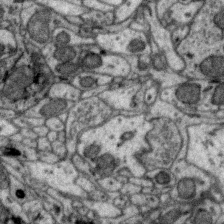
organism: Zebra finch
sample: Brain